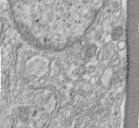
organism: Human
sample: Centriole in fibroblast cells